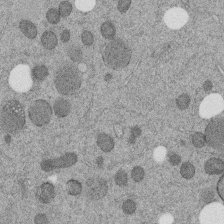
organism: C. elegans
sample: C. elegans embryo early stage